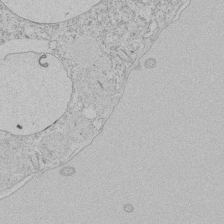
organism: Tetrahymena